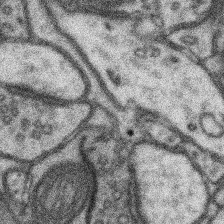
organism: Mouse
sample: Somatosensory cortex neuropil